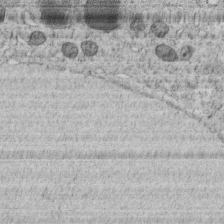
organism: C. elegans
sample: C. elegans embryo early stage